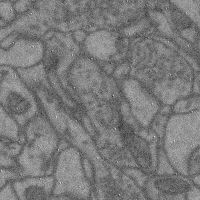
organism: Mouse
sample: Cerebral cortex